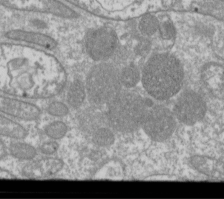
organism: Drosophila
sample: Cell division; meiosis; drosophila spermatocytes